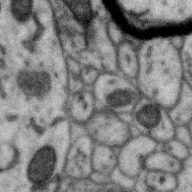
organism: Zebra finch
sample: Brain